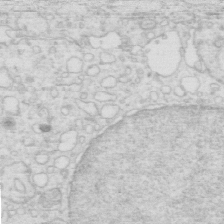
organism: Mouse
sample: Multiciliated cells